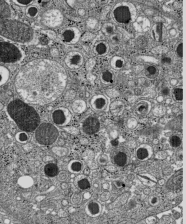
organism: C57BL Mouse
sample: Pancreatic islet